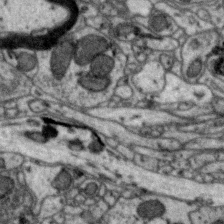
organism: Zebra finch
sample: Brain